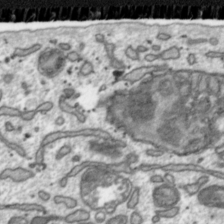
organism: Toxoplasma gondii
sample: Parasites in a vacuole inside a host cell